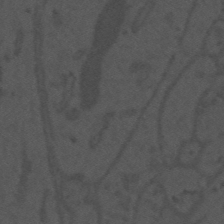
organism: Mouse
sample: Suprachiasmatic nucleus